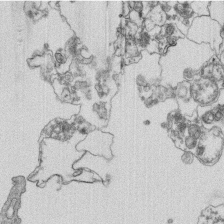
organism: Human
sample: HeLa cell HIV synapse